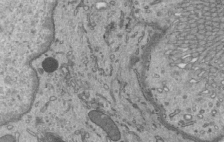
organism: Mouse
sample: Mouse epididymis efferent ductule cilia